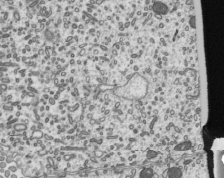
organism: Mouse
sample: Mouse epididymis efferent ductule cilia